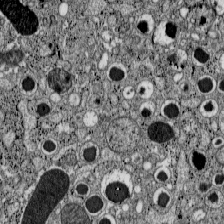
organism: C57BL Mouse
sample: Pancreatic islet